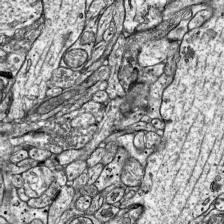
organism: Mouse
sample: Visual Cortex